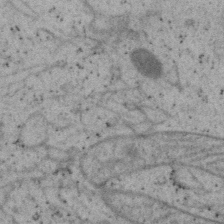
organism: Human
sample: HeLa cells